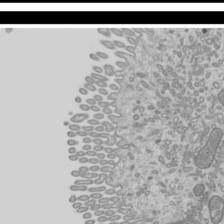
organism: Mouse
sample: Cilia; mouse epididymis